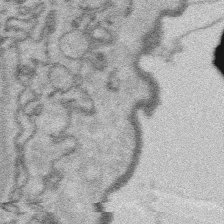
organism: Platynereis dumerilii